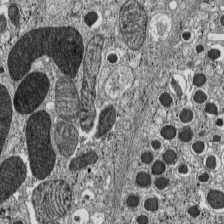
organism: C57BL Mouse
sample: Pancreatic islet